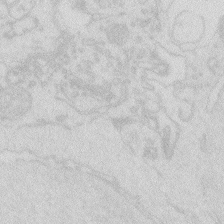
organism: Zebrafish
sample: Macrophage